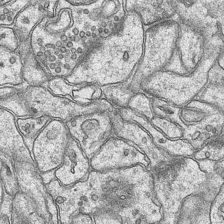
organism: Mouse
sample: CA1 Hippocampus